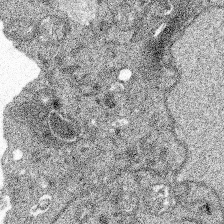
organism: Spongilla lacustris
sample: Multiple